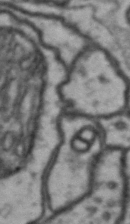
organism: Drosophila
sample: Brain